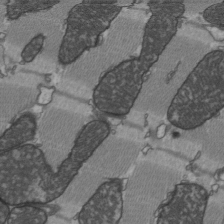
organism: C57BL Mouse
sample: Heart